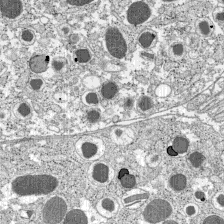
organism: C57BL Mouse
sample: Pancreatic islet